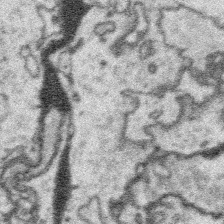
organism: Platynereis dumerilii